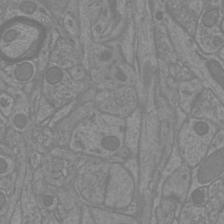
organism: Mouse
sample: Cortical neurons